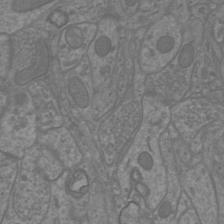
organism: Mouse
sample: Cortical neurons